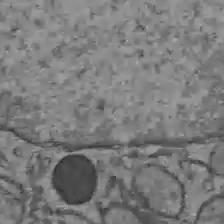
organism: C57BL Mouse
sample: Liver